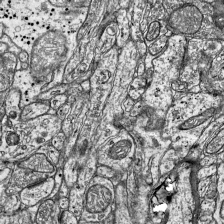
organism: Mouse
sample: Visual Cortex